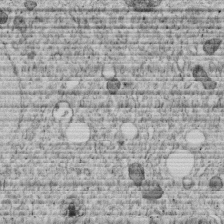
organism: C. elegans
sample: C. elegans embryo early stage